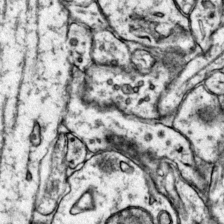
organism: Mouse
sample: Primary visual cortex